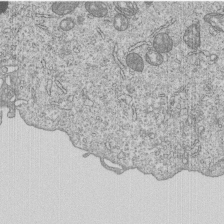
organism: Human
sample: MDA-MB-231 cells